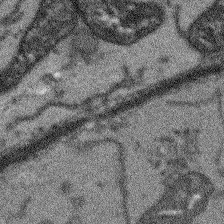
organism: Arabidopsis thaliana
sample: Root tip